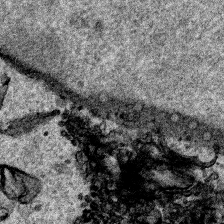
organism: Human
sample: Mitochondria in HCT116 cells